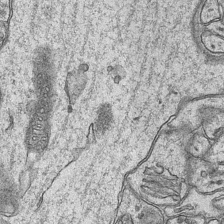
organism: Mouse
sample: CA1 Hippocampus